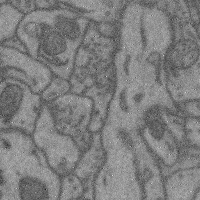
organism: Mouse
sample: Cerebral cortex